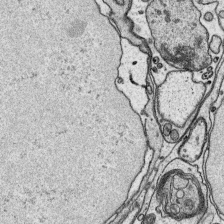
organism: Platynereis dumerilii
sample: Parapodia